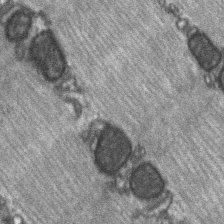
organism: C57BL Mouse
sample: Soleus